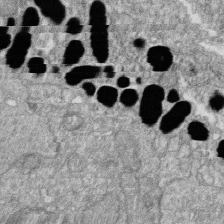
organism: Zebrafish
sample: Cilia; retinal pigment epithelium